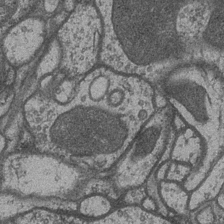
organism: Drosophila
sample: Optic medulla